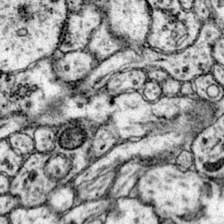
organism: Mouse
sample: Primary visual cortex